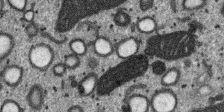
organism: Human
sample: Lung epithelial cells infected with SARS-CoV-2